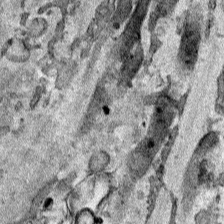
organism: Human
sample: Mitochondria in HCT116 cells